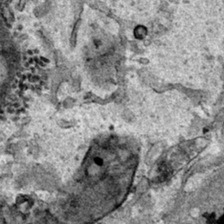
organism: Human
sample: Mitochondria in HCT116 cells